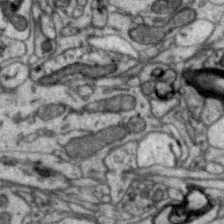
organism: Zebra finch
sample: Brain